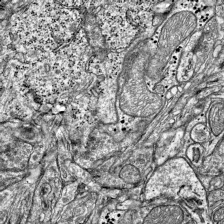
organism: Mouse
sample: Visual Cortex